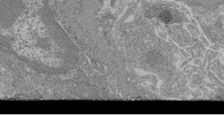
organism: Mouse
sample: Glomerulus